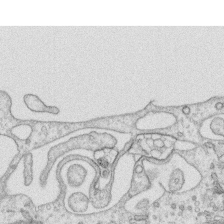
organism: Human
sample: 1205lu cells